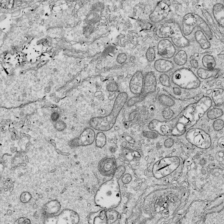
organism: Drosophila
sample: Cell division; meiosis; drosophila spermatocytes